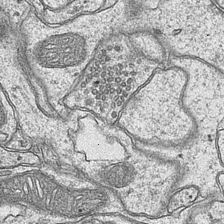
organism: Mouse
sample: CA1 Hippocampus